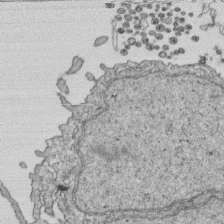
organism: Human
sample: HeLa cell HIV synapse